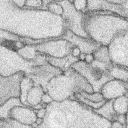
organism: Rabbit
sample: Retina